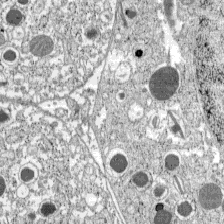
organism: C57BL Mouse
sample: Pancreatic islet